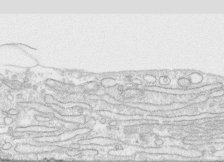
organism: Human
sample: CRL-1474